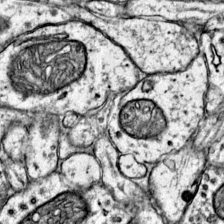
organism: Mouse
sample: Primary visual cortex